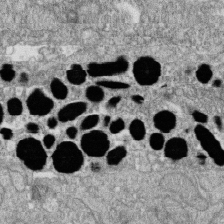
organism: Zebrafish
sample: Cilia; retinal pigment epithelium